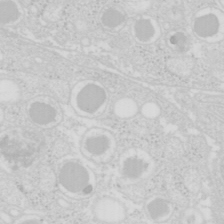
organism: Mouse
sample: Pancreas